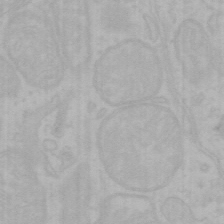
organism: Mouse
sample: Choroid plexus